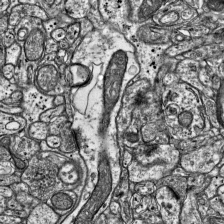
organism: Mouse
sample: Visual Cortex